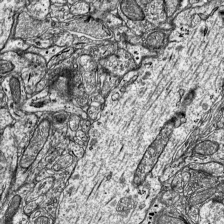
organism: Mouse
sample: Visual Cortex